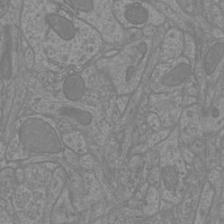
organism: Mouse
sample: Cortical neurons